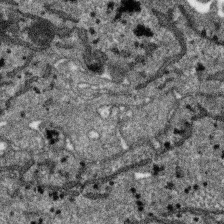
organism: Human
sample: Lung epithelial cells infected with SARS-CoV-2